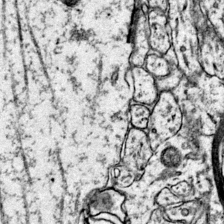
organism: Mouse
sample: Primary visual cortex